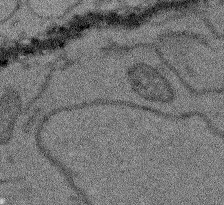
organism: Arabidopsis thaliana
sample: Root tip